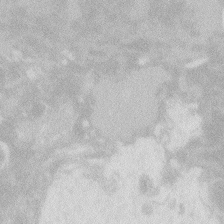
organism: Zebrafish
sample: Macrophage